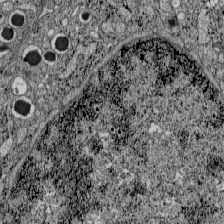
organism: C57BL Mouse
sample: Pancreatic islet